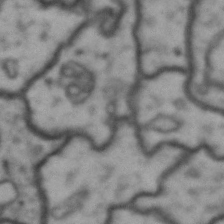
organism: Drosophila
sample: Brain